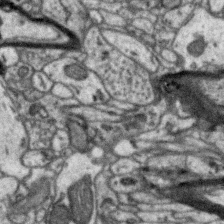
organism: Zebra finch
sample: Brain